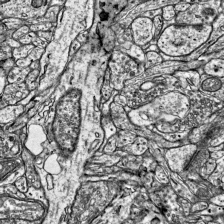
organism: Mouse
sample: Visual Cortex